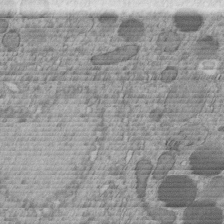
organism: C. elegans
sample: C. elegans embryo early stage